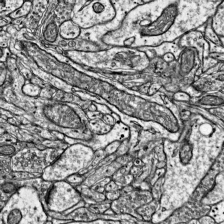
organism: Mouse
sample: Visual Cortex